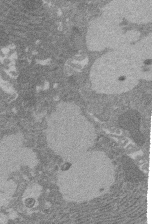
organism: Rat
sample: Salivary granule